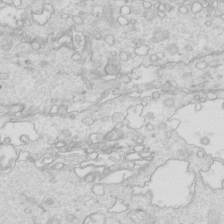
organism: Mouse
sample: Multiciliated cells